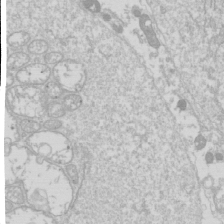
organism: Drosophila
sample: Cell division; meiosis; drosophila spermatocytes